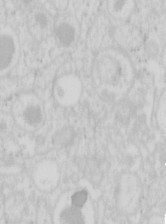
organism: Mouse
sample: Pancreas